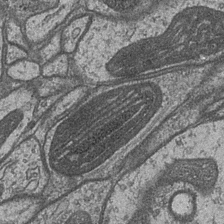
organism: Drosophila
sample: Optic medulla